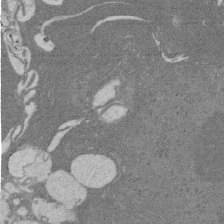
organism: Rat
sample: Salivary granule